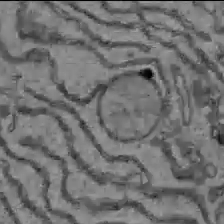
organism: C57BL Mouse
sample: Liver